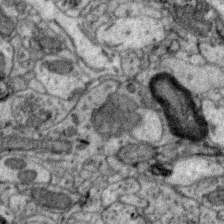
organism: Zebra finch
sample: Brain